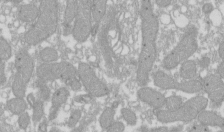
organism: Xenopus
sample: Cilia; centrioles in frog embryo cells